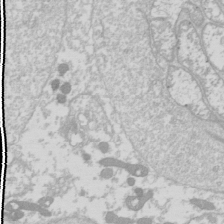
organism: Drosophila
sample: Cell division; meiosis; drosophila spermatocytes